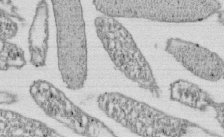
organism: E. coli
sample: Bacterial nucleoid